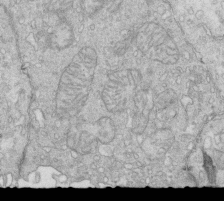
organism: Mouse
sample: Multiciliated cells